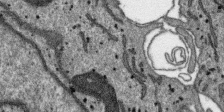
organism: Human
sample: Lung epithelial cells, uninfected (mock) control